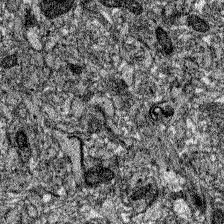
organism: Zebrafish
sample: Larval olfactory bulb